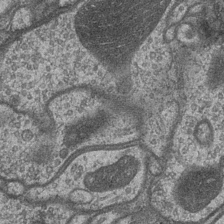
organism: Drosophila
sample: Optic medulla